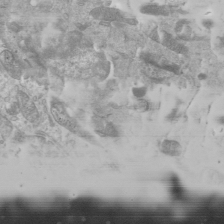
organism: Mouse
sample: Cilia; mouse epididymis